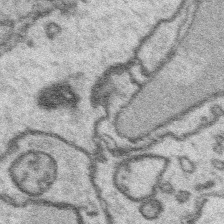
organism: Platynereis dumerilii